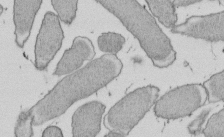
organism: E. coli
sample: Bacterial nucleoid